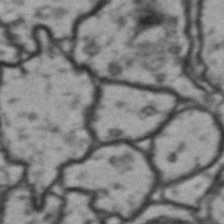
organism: Drosophila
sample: Brain